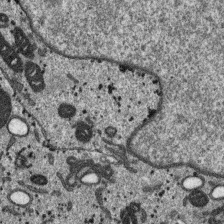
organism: Human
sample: Lung epithelial cells infected with SARS-CoV-2